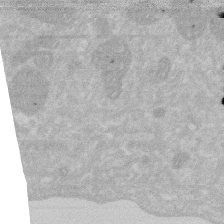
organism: Human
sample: HIV infected U937 cells